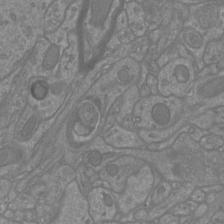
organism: Mouse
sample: Cortical neurons